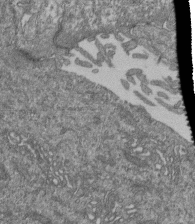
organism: Human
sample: Retinal organoid Rod and Cone cells